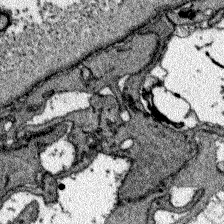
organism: Zebrafish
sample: Larval olfactory bulb